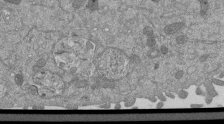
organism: Mouse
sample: ED-1 cell nuclei; centrioles